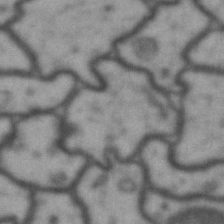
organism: Drosophila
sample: Brain